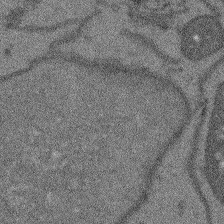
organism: Arabidopsis thaliana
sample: Root tip